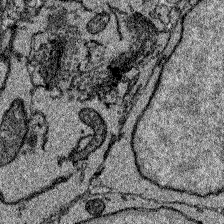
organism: Zebrafish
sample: Larval olfactory bulb